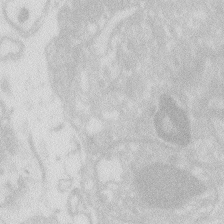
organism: Zebrafish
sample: Macrophage